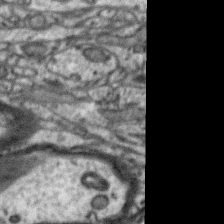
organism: Zebra finch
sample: Brain